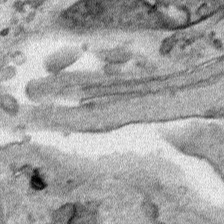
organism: Human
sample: Mitochondria in HCT116 cells